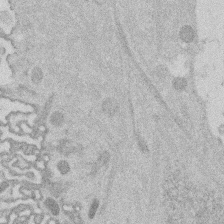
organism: Mouse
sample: Dividing mouse embryo 1 cell stage